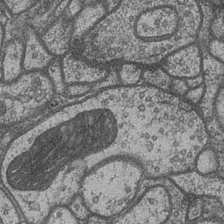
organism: Drosophila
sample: Optic medulla